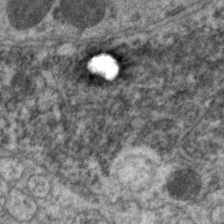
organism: C. elegans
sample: Pharynx